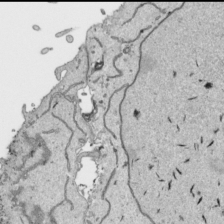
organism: Human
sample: Mitochondria in HCT116 cells